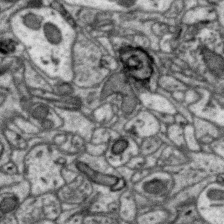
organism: Zebra finch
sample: Brain